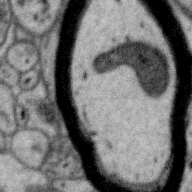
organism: Zebra finch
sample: Brain